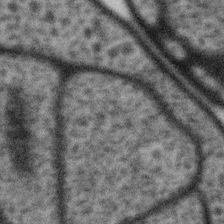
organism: Gemmata obscuriglobus